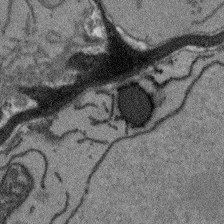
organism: Arabidopsis thaliana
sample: Root tip